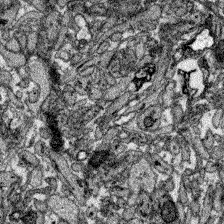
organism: Zebrafish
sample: Larval olfactory bulb